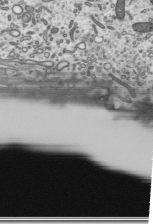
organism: Mouse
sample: Mouse epididymis efferent ductule cilia